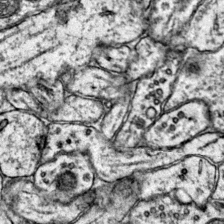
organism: Mouse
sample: Primary visual cortex